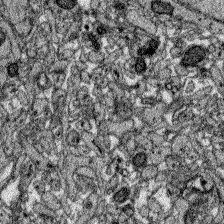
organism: Zebrafish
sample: Larval olfactory bulb